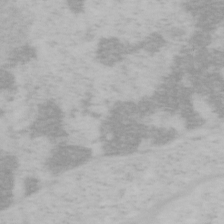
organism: Mouse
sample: OT-I killer T cells with ID8 ovarian cancer cells